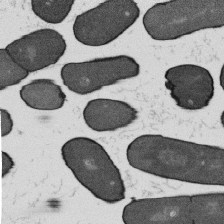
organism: B. subtilis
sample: Bacterial spore